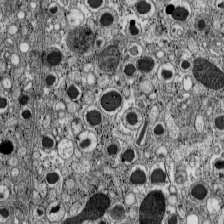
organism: C57BL Mouse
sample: Pancreatic islet